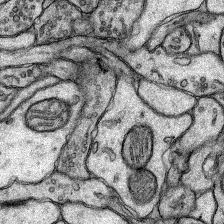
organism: Rat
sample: Hippocampus